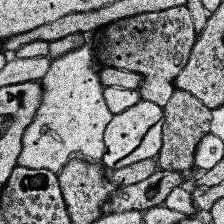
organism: Human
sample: Temporal Lobe